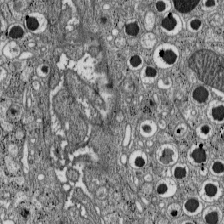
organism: C57BL Mouse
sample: Pancreatic islet